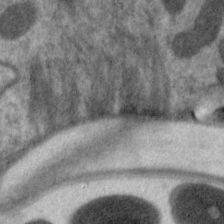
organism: C. elegans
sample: Pharynx